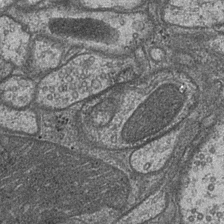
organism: Drosophila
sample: Optic medulla